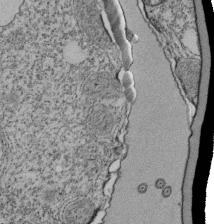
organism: Tetrahymena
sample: Cilia in tetrahymena